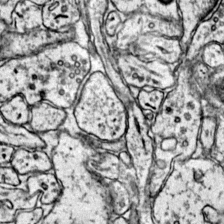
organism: Mouse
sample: Primary visual cortex